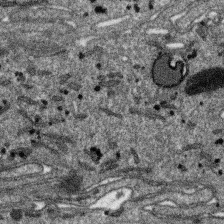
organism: Human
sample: Lung epithelial cells infected with SARS-CoV-2